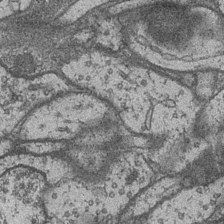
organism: Drosophila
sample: Optic medulla